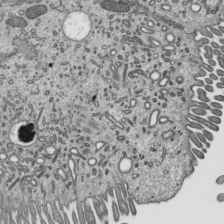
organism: Mouse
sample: Mouse epididymis efferent ductule cilia